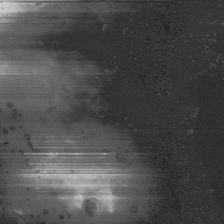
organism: Human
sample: Mitochondria in HCT116 cells